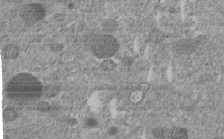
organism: C. elegans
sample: C. elegans embryo early stage